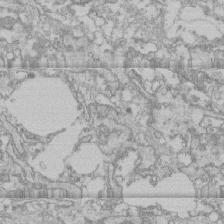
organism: Human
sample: CRL-1474